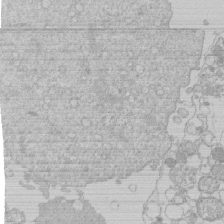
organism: Human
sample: Macrophage cells